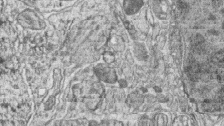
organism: Zebrafish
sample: synaptic ribbons in rod cells and cone cells